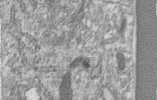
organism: Human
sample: Centriole in RPE cells